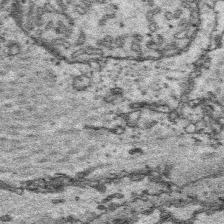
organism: Platynereis dumerilii